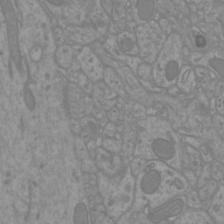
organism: Mouse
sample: Cortical neurons